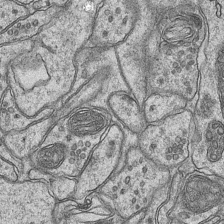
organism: Mouse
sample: CA1 Hippocampus